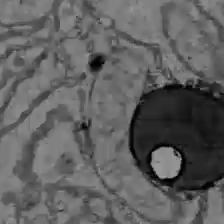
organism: C57BL Mouse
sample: Liver